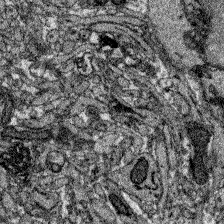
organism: Zebrafish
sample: Larval olfactory bulb